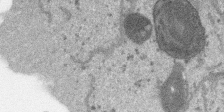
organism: Human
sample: Lung epithelial cells infected with SARS-CoV-2